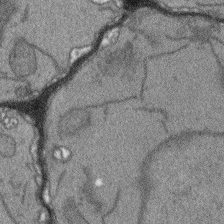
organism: Arabidopsis thaliana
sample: Root tip